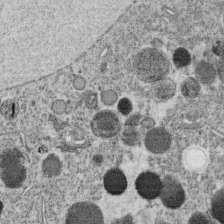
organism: C. elegans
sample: C. elegans oocyte; sperm cells